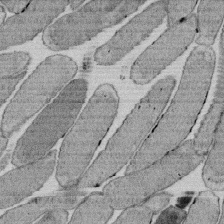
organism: E. coli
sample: Bacterial nucleoid